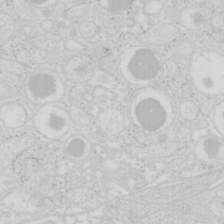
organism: Mouse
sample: Pancreas